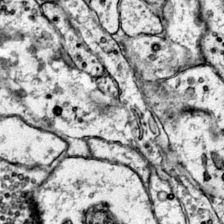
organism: Mouse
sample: Primary visual cortex